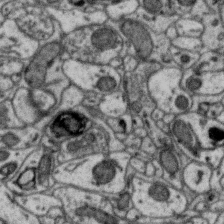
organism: Zebra finch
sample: Brain